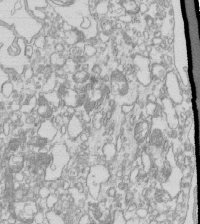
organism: Mouse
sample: Macrophages